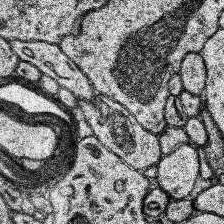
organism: Human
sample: Temporal Lobe